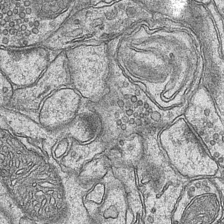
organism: Mouse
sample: CA1 Hippocampus